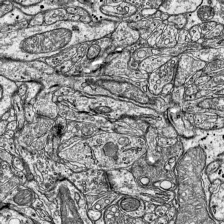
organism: Mouse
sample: Visual Cortex